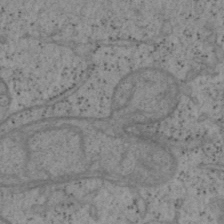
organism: Human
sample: HeLa cells